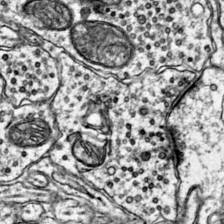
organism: Mouse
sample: Primary visual cortex